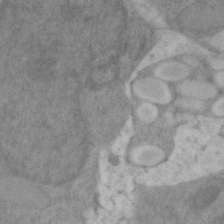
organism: Zebrafish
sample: Zebrafish embryo